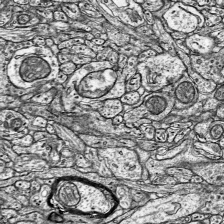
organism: Mouse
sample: Visual Cortex